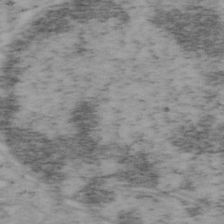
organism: Mouse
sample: OT-I killer T cells with ID8 ovarian cancer cells